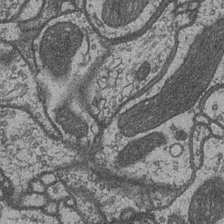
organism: Drosophila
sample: Optic medulla